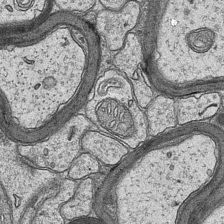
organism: Mouse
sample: CA1 Hippocampus